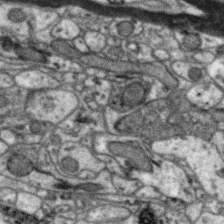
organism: Zebra finch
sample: Brain